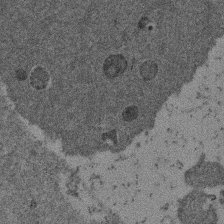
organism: Mouse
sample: Dividing mouse embryo 1 cell stage